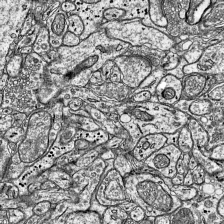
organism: Mouse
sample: Visual Cortex